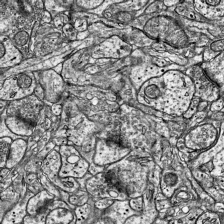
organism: Mouse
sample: Visual Cortex